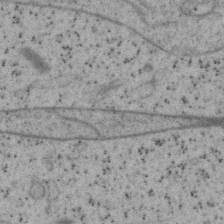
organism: Human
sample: HeLa cells